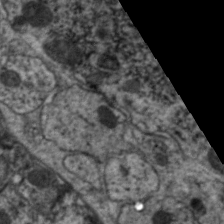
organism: C. elegans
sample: Pharynx